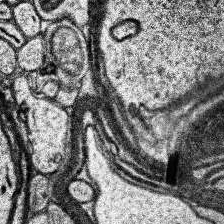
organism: Human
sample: Temporal Lobe